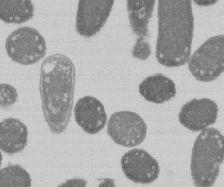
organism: E. coli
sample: Bacterial nucleoid